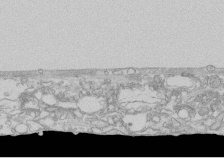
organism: Human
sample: CRL-1474